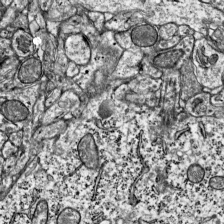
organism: Mouse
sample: Visual Cortex